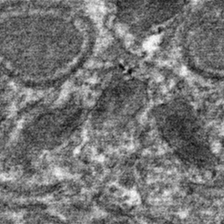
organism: Mouse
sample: Mouse hepatocytes